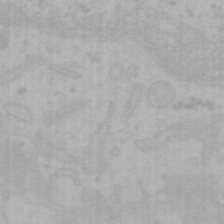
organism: Mouse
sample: Choroid plexus